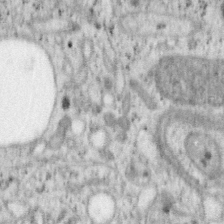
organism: Mouse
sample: OT-I killer T cells with ID8 ovarian cancer cells